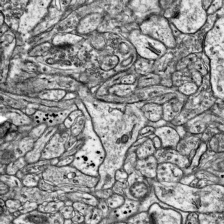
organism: Mouse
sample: Visual Cortex